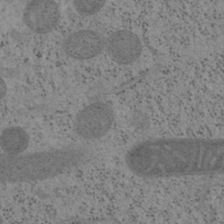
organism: Mouse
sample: OT-I killer T cells with ID8 ovarian cancer cells